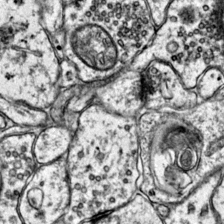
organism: Mouse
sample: Primary visual cortex